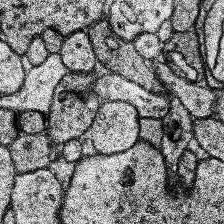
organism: Human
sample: Temporal Lobe